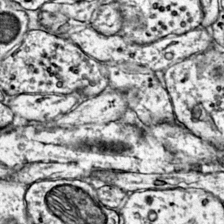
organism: Mouse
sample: Primary visual cortex